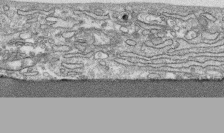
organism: Human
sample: CRL-1474